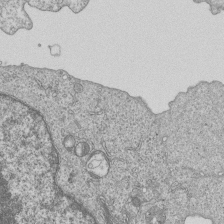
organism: Human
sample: MDA-MB-231 cells